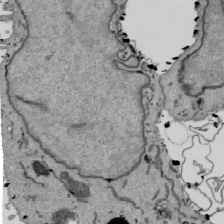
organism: Mouse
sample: ED-1 cell nuclei; centrioles